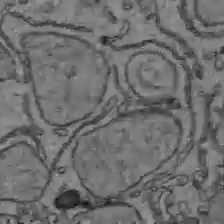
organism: C57BL Mouse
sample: Liver